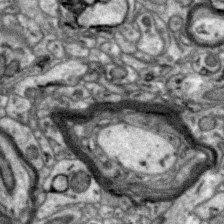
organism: Zebra finch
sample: Brain